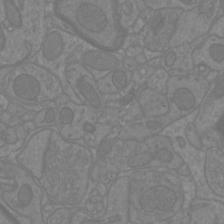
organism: Mouse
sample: Cortical neurons